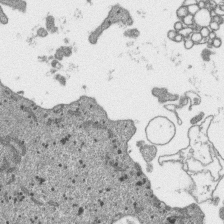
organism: Human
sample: Lung epithelial cells infected with SARS-CoV-2